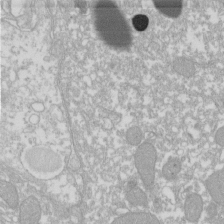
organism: Xenopus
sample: Cilia; centrioles in frog embryo cells